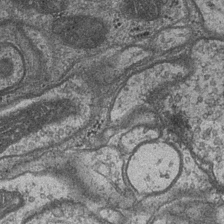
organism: Drosophila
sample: Optic medulla